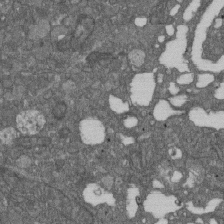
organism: Drosophila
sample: Nephrocyte